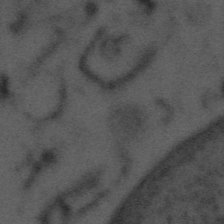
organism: Tuwongella immobilis